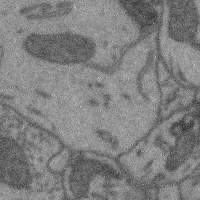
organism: Mouse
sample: Cerebral cortex